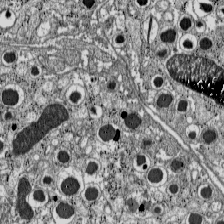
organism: C57BL Mouse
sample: Pancreatic islet